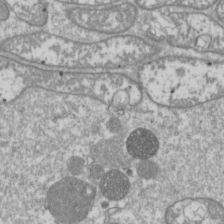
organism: Drosophila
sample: Cell division; meiosis; drosophila spermatocytes